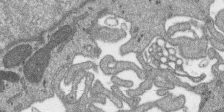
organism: Human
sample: Lung epithelial cells infected with SARS-CoV-2